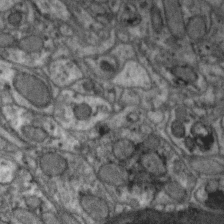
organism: Zebra finch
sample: Brain